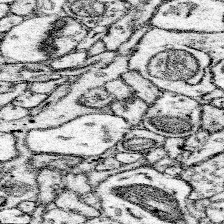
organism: Mouse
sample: Somatosensory cortex neuropil